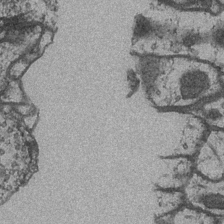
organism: Drosophila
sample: Optic medulla